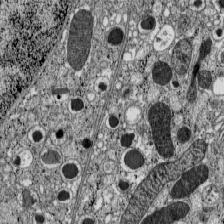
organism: C57BL Mouse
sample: Pancreatic islet